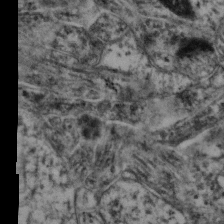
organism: Mouse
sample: Neocortex